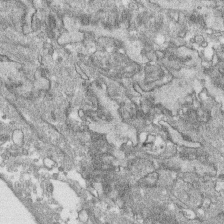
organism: Human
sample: CRL-1474